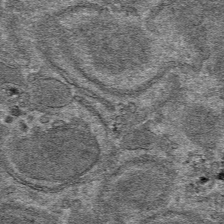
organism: Mouse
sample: Mouse hepatocytes